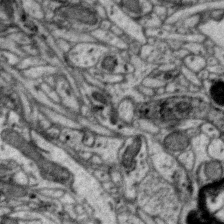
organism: Zebra finch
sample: Brain